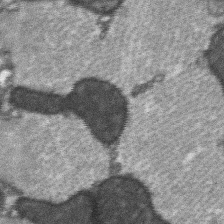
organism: C57BL Mouse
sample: Soleus